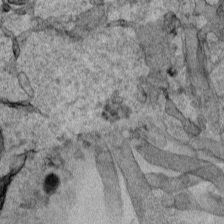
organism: Human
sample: Mitochondria in HCT116 cells